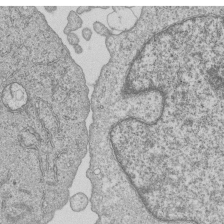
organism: Human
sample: MDA-MB-231 cells